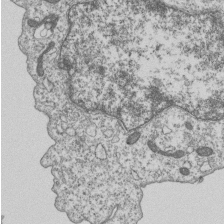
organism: Human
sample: MDA-MB-231 cells